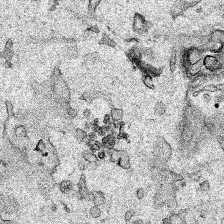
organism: Human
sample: Mitochondria in HCT116 cells